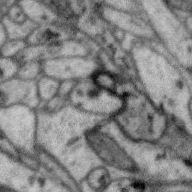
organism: Zebra finch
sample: Brain